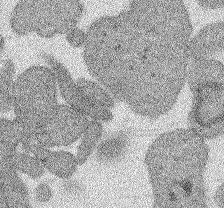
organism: Human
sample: HeLa cells